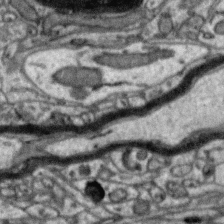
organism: Zebra finch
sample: Brain